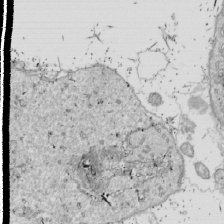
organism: Drosophila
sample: Cell division; meiosis; drosophila spermatocytes